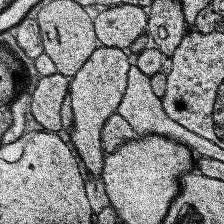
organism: Human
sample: Temporal Lobe